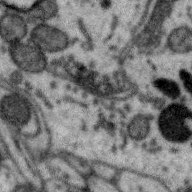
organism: Zebra finch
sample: Brain